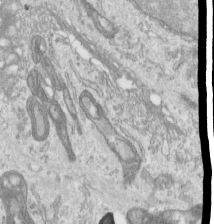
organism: Human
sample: Centriole in RPE cells